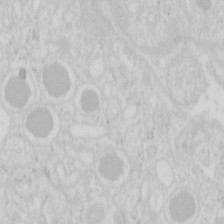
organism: Mouse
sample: Pancreas